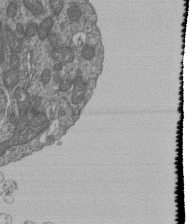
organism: Human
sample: Retinal organoid Rod and Cone cells